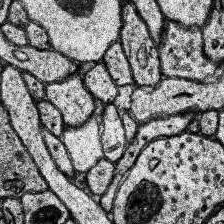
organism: Human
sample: Temporal Lobe